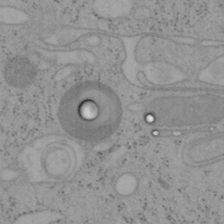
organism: Mouse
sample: OT-I killer T cells with ID8 ovarian cancer cells